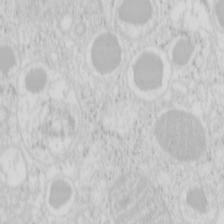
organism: Mouse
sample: Pancreas